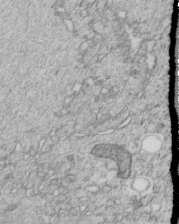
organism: C. elegans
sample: C. elegans embryo early stage